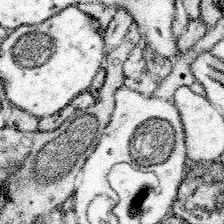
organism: Mouse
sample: Somatosensory cortex neuropil